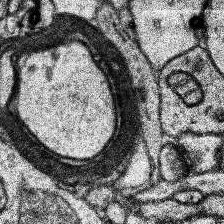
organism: Human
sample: Temporal Lobe